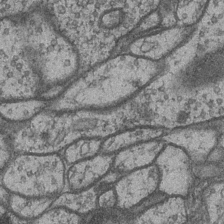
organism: Drosophila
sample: Optic medulla